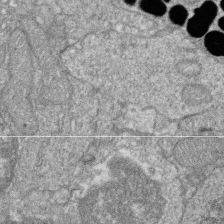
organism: Zebrafish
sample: Cilia; retinal pigment epithelium